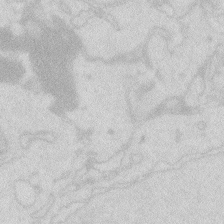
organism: Zebrafish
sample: Macrophage